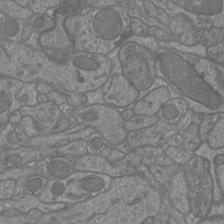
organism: Mouse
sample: Cortical neurons